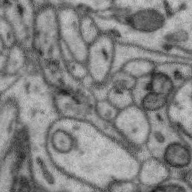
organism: Zebra finch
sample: Brain